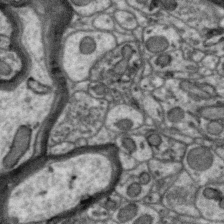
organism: Zebra finch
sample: Brain